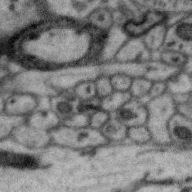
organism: Zebra finch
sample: Brain